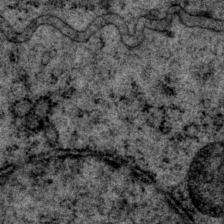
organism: P. pacificus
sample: Pharynx